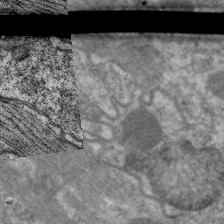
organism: C. elegans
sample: Pharynx